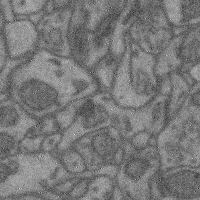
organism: Mouse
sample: Cerebral cortex